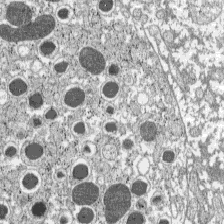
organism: C57BL Mouse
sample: Pancreatic islet